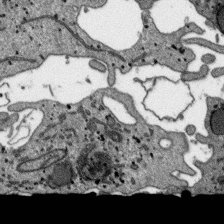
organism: Human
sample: Lung epithelial cells, uninfected (mock) control